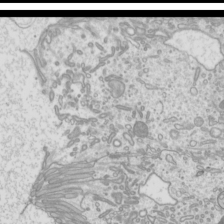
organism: Mouse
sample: Cilia; mouse epididymis